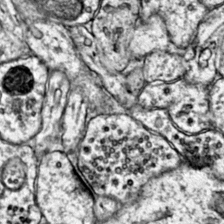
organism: Mouse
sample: Primary visual cortex